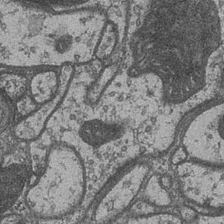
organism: Drosophila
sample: Optic medulla